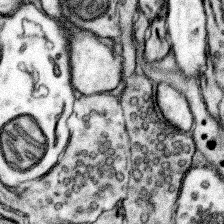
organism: Mouse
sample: Somatosensory cortex neuropil